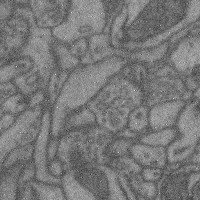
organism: Mouse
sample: Cerebral cortex